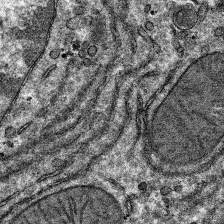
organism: Mouse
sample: Mouse hepatocytes